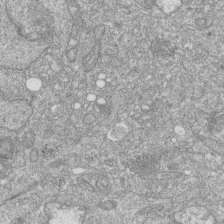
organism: Human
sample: HeLa cell HIV synapse